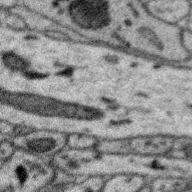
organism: Zebra finch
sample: Brain